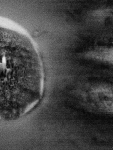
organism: Human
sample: Centriole in RPE cells